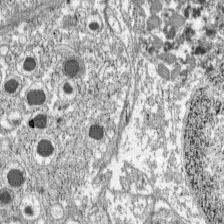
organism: C57BL Mouse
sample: Pancreatic islet